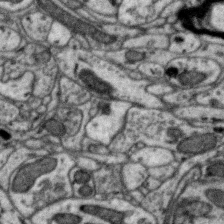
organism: Zebra finch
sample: Brain